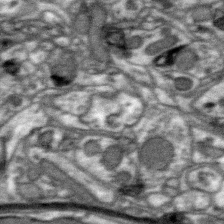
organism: Zebra finch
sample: Brain